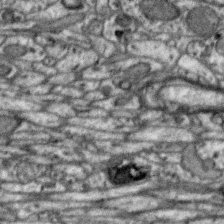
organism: Zebra finch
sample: Brain